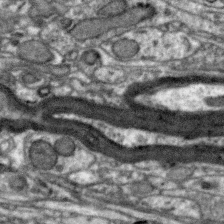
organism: Zebra finch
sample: Brain